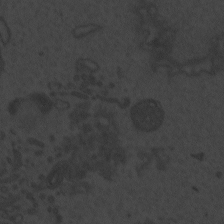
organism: Zebrafish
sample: Macrophage infected with Toxoplasma gondii